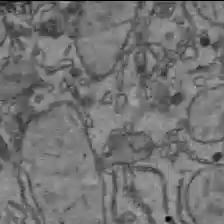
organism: C57BL Mouse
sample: Liver